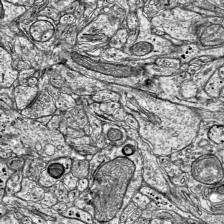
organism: Mouse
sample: Visual Cortex